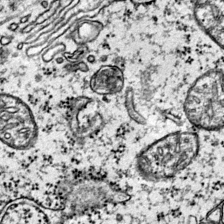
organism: Mouse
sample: Primary visual cortex